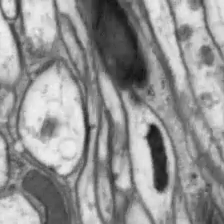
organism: Drosophila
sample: Optic lobe